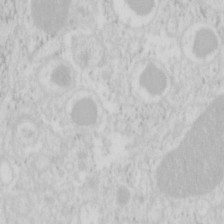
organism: Mouse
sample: Pancreas